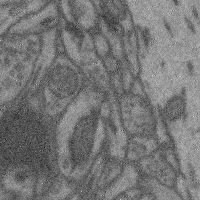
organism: Mouse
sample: Cerebral cortex